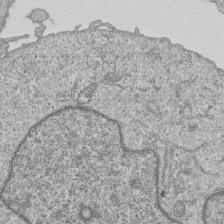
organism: Human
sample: MDA-MB-231 cells